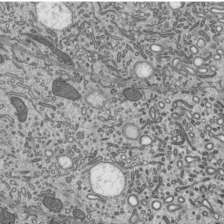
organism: Mouse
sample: Mouse epididymis efferent ductule cilia